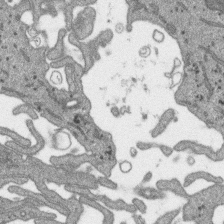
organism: Human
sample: Lung epithelial cells infected with SARS-CoV-2